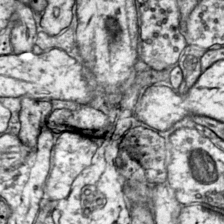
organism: Mouse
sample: Primary visual cortex